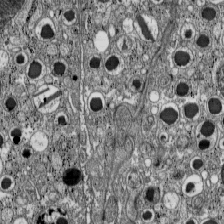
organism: C57BL Mouse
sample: Pancreatic islet